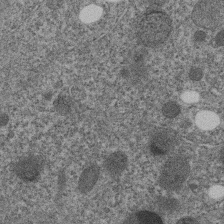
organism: C. elegans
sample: C. elegans embryo early stage